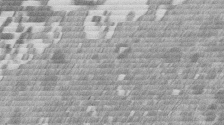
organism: Mouse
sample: Dividing mouse embryo 1 cell stage